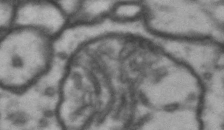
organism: Drosophila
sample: Brain